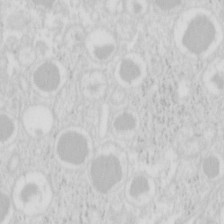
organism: Mouse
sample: Pancreas